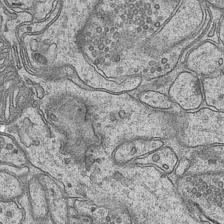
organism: Mouse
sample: CA1 Hippocampus